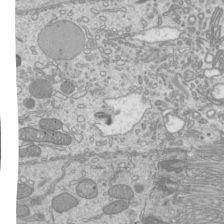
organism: Mouse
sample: Cilia; mouse epididymis